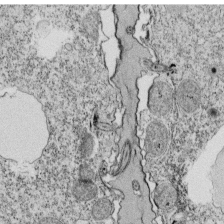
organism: Tetrahymena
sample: Cilia in tetrahymena